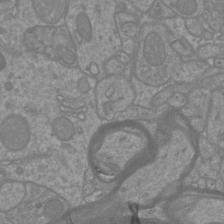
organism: Mouse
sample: Cortical neurons